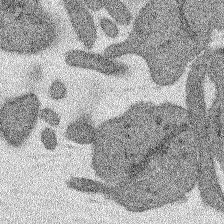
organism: Human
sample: HeLa cells